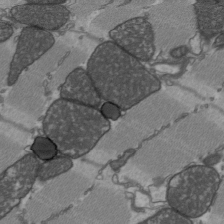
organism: C57BL Mouse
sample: Heart